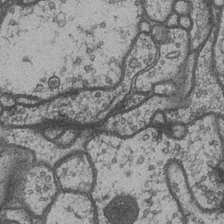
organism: Drosophila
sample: Optic medulla